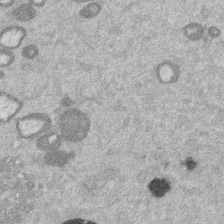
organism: Mouse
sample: Dividing mouse embryo 1 cell stage